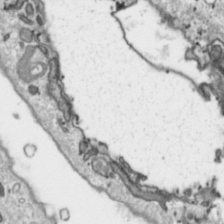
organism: Toxoplasma gondii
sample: Parasites in a vacuole inside a host cell